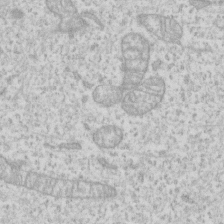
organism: Human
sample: Fibroblast cells